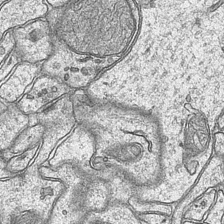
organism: Mouse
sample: CA1 Hippocampus